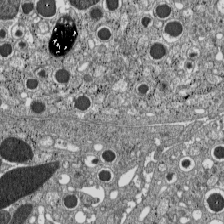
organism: C57BL Mouse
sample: Pancreatic islet